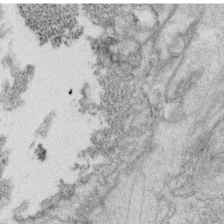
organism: C. elegans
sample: C. elegans oocyte; sperm cells